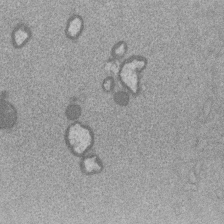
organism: Mouse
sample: Dividing mouse embryo 1 cell stage